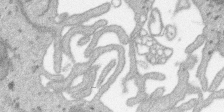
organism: Human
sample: Lung epithelial cells infected with SARS-CoV-2